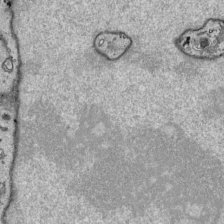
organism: Human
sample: Mitochondria in HCT116 cells